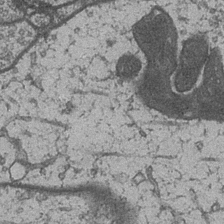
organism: Drosophila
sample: Optic medulla